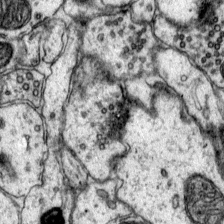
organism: Mouse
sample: Primary visual cortex